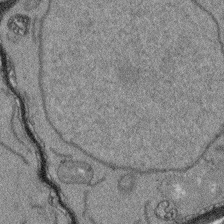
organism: Arabidopsis thaliana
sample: Root tip